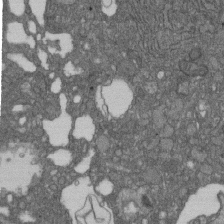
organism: Drosophila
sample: Nephrocyte